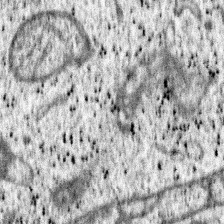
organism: Human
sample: HeLa cells